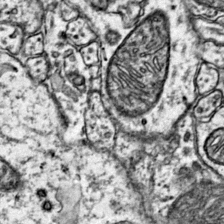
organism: Mouse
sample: Primary visual cortex